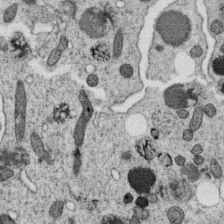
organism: C. elegans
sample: C. elegans oocyte; sperm cells